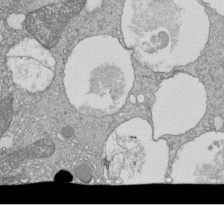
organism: Tetrahymena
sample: Cilia in tetrahymena